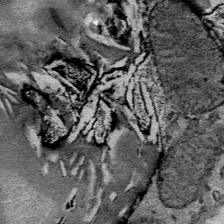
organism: Mouse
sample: Mouse Salivary gland